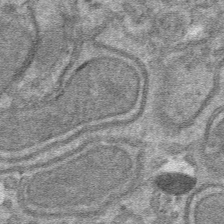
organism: Mouse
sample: Mouse hepatocytes